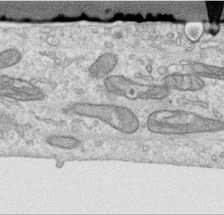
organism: Human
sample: Centriole in RPE cells